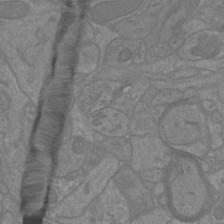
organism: Mouse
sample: Cortical neurons